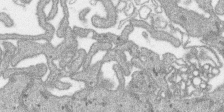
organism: Human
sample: Lung epithelial cells infected with SARS-CoV-2